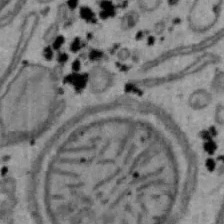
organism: Mouse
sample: Liver